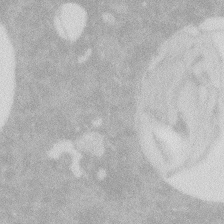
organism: Zebrafish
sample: Macrophage